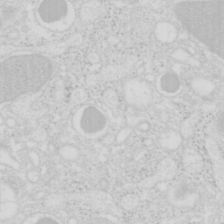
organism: Mouse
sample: Pancreas